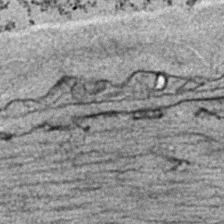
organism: C. elegans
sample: C. elegans embryo